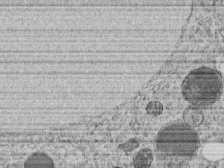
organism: C. elegans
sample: C. elegans embryo early stage